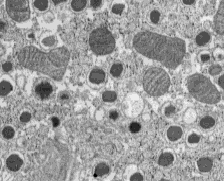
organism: C57BL Mouse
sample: Pancreatic islet